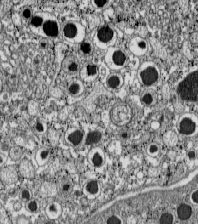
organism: C57BL Mouse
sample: Pancreatic islet